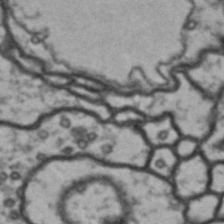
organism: Drosophila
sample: Brain